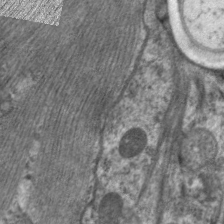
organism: C. elegans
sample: Pharynx